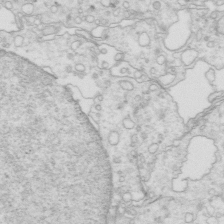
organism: Mouse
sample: Multiciliated cells